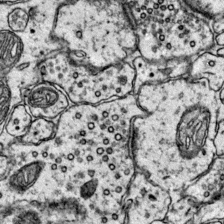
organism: Mouse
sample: Primary visual cortex